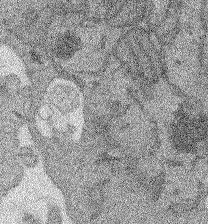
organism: Human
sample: HeLa cells